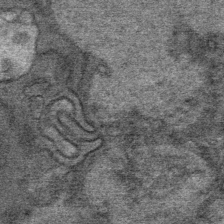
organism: Mouse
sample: Mouse Salivary gland